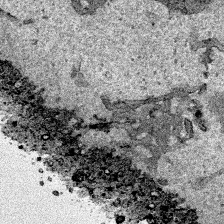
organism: Human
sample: Mitochondria in HCT116 cells